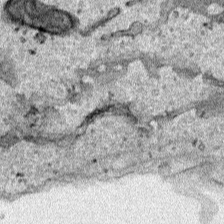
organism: Human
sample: Mitochondria in HCT116 cells